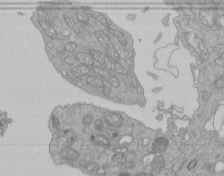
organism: Human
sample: Retinal organoid Rod and Cone cells